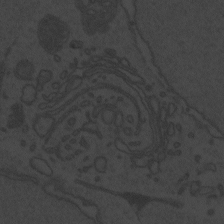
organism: Zebrafish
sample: Macrophage infected with Toxoplasma gondii